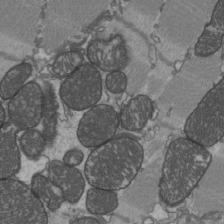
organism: C57BL Mouse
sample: Heart